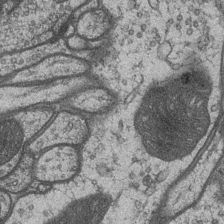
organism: Drosophila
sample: Optic medulla